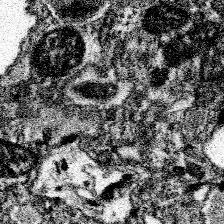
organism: Spongilla lacustris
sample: Neuroid cell